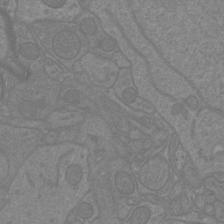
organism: Mouse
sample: Cortical neurons